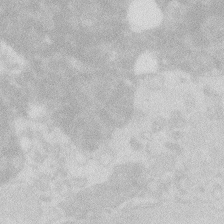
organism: Zebrafish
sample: Macrophage